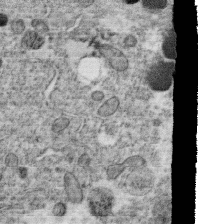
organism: C. elegans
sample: C. elegans oocyte; sperm cells